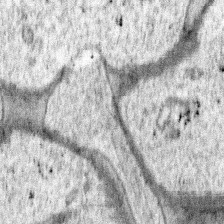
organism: Human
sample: HeLa cells